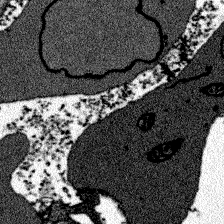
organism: Zebrafish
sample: Larval olfactory bulb